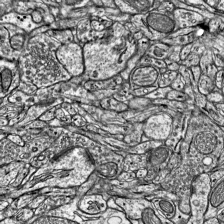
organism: Mouse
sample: Visual Cortex